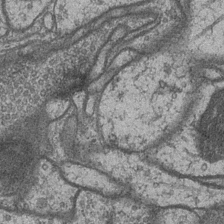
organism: Drosophila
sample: Optic medulla